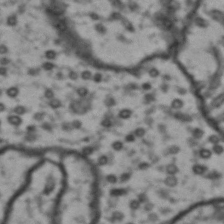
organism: Drosophila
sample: Brain